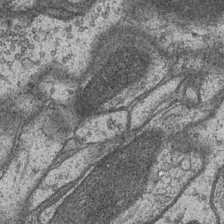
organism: Drosophila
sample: Optic medulla